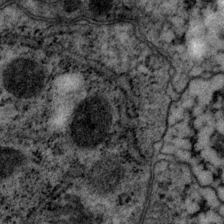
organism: P. pacificus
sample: Pharynx